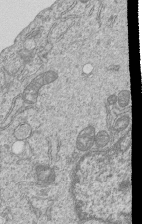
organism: Human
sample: MDA-MB-231 cells